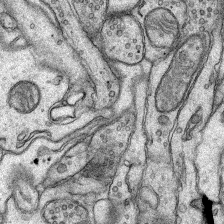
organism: Rat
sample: Hippocampus